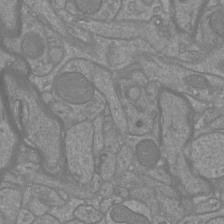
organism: Mouse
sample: Cortical neurons